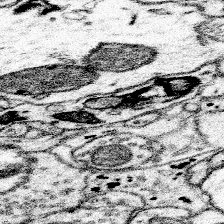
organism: Mouse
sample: Somatosensory cortex neuropil